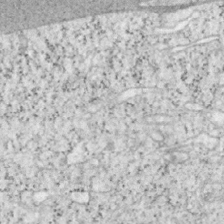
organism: Mouse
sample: OT-I killer T cells with ID8 ovarian cancer cells